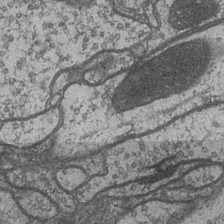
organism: Drosophila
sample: Optic medulla